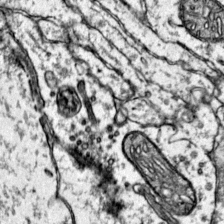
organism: Mouse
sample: Primary visual cortex